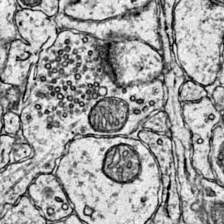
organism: Mouse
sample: Primary visual cortex